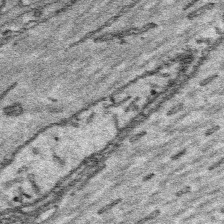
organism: Platynereis dumerilii